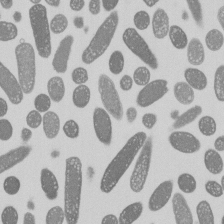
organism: E. coli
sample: Bacterial nucleoid